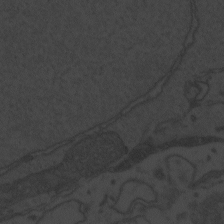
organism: Zebrafish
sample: Macrophage infected with Toxoplasma gondii